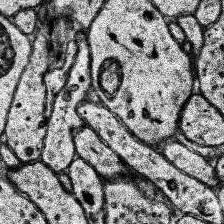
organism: Human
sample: Temporal Lobe